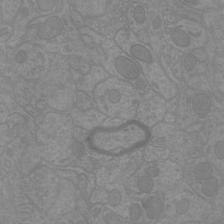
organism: Mouse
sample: Cortical neurons